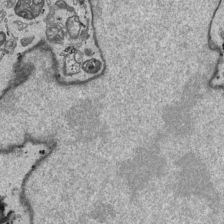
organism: Human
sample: Mitochondria in HCT116 cells